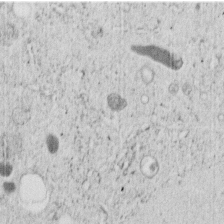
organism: C. elegans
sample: C. elegans embryo early stage